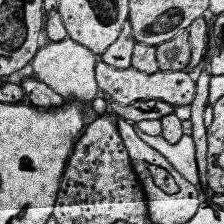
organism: Human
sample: Temporal Lobe